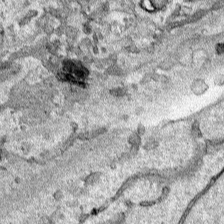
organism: Human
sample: Mitochondria in HCT116 cells